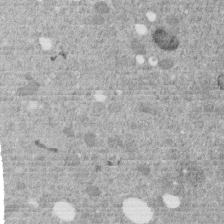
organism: C. elegans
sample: C. elegans embryo early stage